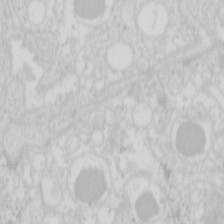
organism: Mouse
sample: Pancreas